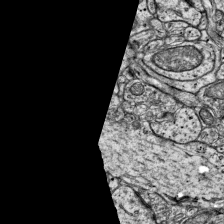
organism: Mouse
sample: Visual Cortex